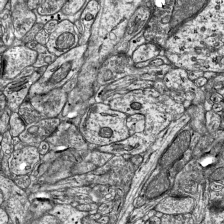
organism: Mouse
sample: Visual Cortex